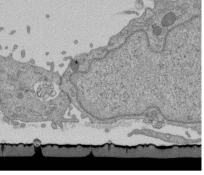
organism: Mouse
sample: ED-1 cell nuclei; centrioles